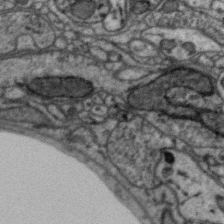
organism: Zebra finch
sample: Brain